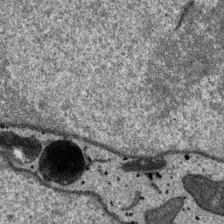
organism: Human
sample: Lung epithelial cells, uninfected (mock) control